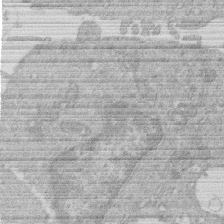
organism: Human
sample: Macrophage cells